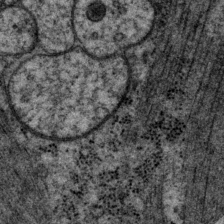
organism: P. pacificus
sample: Pharynx